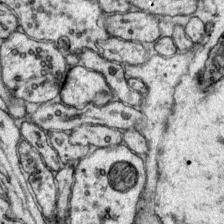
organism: Mouse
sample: Primary visual cortex